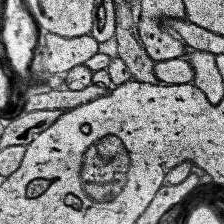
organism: Human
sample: Temporal Lobe